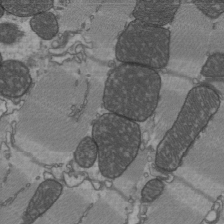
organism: C57BL Mouse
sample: Heart